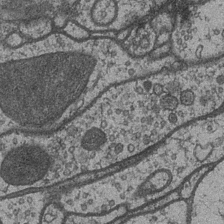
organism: Drosophila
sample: Optic medulla